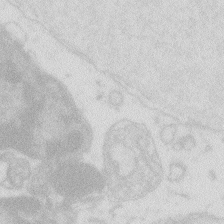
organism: Zebrafish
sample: Macrophage